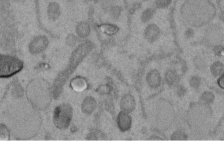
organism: C. elegans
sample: C. elegans embryo early stage